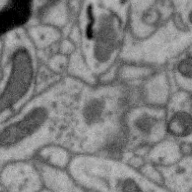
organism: Zebra finch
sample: Brain